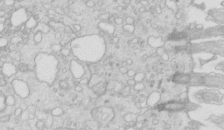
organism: Mouse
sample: Multiciliated cells